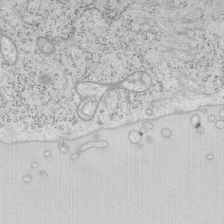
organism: Mouse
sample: OT-I killer T cells with ID8 ovarian cancer cells